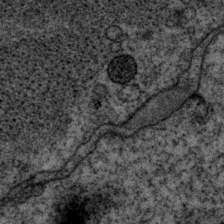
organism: P. pacificus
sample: Pharynx